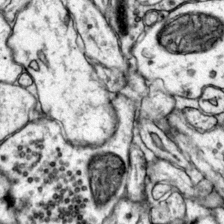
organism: Mouse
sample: Primary visual cortex